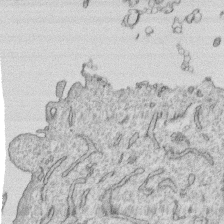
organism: Human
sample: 1205lu cells